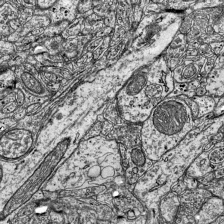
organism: Mouse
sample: Visual Cortex